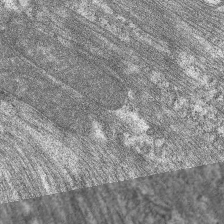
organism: C. elegans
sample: Pharynx